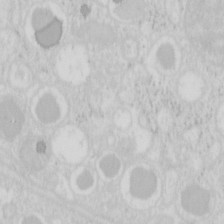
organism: Mouse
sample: Pancreas